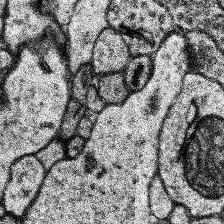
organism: Human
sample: Temporal Lobe